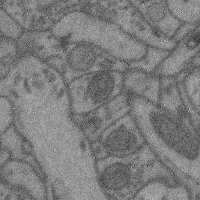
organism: Mouse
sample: Cerebral cortex